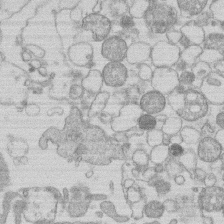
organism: Human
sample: Macrophage cells